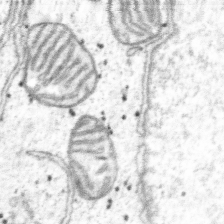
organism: Human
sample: HeLa cells